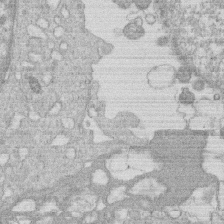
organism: Human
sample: Macrophage cells